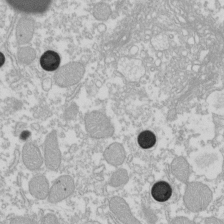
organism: Xenopus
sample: Cilia; centrioles in frog embryo cells